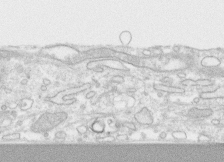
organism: Human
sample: CRL-1474